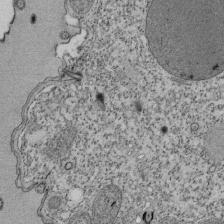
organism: Tetrahymena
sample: Cilia in tetrahymena